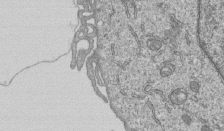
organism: Human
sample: MDA-MB-231 cells